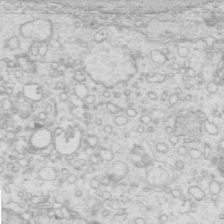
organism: Mouse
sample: Multiciliated cells